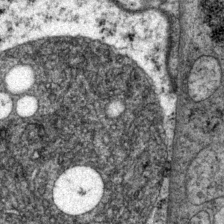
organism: P. pacificus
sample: Pharynx